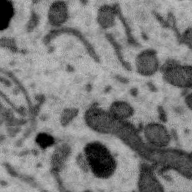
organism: Zebra finch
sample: Brain